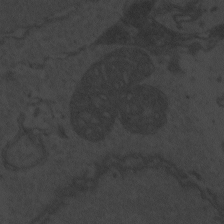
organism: Zebrafish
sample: Macrophage infected with Toxoplasma gondii